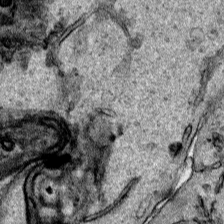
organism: Human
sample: Mitochondria in HCT116 cells